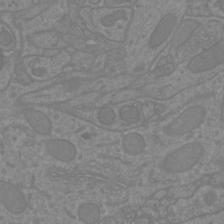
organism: Mouse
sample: Cortical neurons